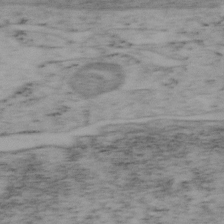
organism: Mouse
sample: OT-I killer T cells with ID8 ovarian cancer cells